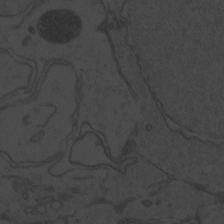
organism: Zebrafish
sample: Macrophage infected with Toxoplasma gondii